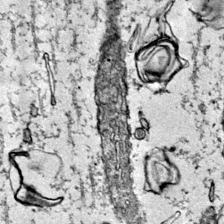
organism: Mouse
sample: Primary visual cortex